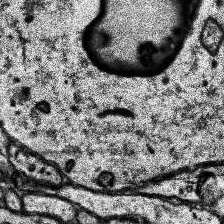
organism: Human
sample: Temporal Lobe